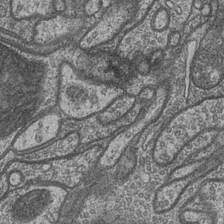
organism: Drosophila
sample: Optic medulla